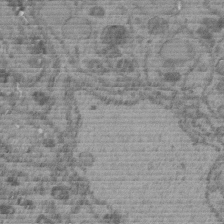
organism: C. elegans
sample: C. elegans embryo early stage